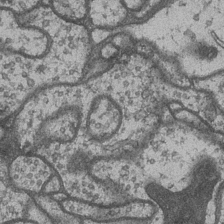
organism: Drosophila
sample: Optic medulla